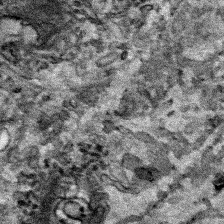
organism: Human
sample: Mitochondria in HCT116 cells